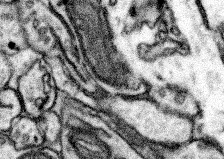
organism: Mouse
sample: Somatosensory cortex neuropil